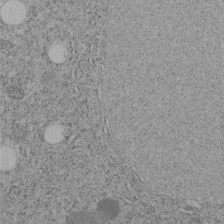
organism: C. elegans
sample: C. elegans embryo early stage